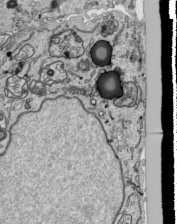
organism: Human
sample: Mitochondria in HCT116 cells